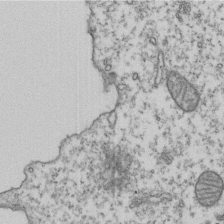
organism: Human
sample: Activated Jurkat CD4+ T cells